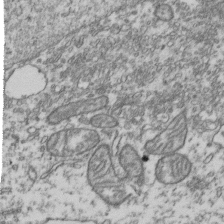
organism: Human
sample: Activated Jurkat CD4+ T cells